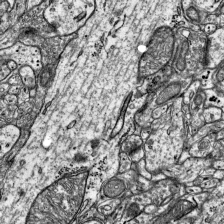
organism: Mouse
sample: Visual Cortex